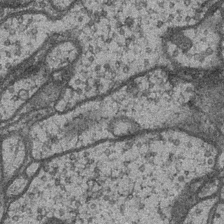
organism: Drosophila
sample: Optic medulla